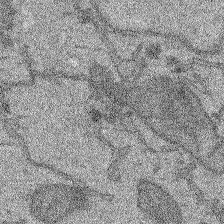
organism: Human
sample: HeLa cells